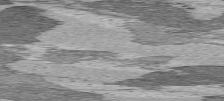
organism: C57BL Mouse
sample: Heart